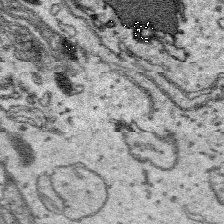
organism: Platynereis dumerilii